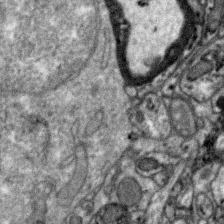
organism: Zebra finch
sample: Brain